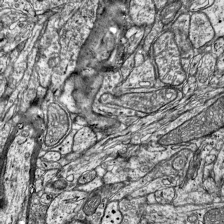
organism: Mouse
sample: Visual Cortex